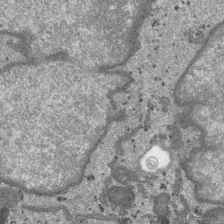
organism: Human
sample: Lung epithelial cells infected with SARS-CoV-2